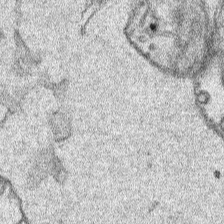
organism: Human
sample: Mitochondria in HCT116 cells